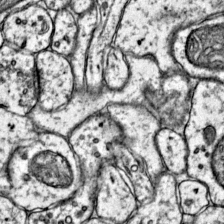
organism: Mouse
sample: Primary visual cortex